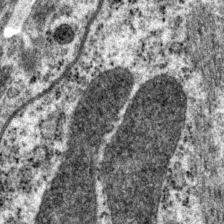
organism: P. pacificus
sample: Pharynx